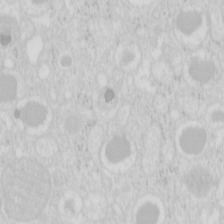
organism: Mouse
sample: Pancreas